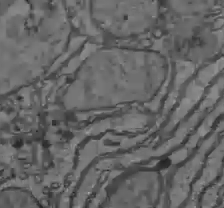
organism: C57BL Mouse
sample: Liver